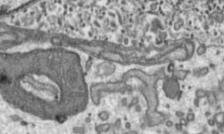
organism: Toxoplasma gondii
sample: Parasites in a vacuole inside a host cell